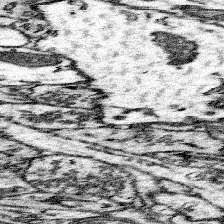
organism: Mouse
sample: Somatosensory cortex neuropil